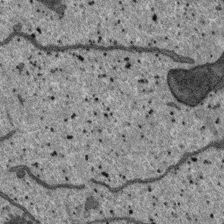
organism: Human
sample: Lung epithelial cells, uninfected (mock) control